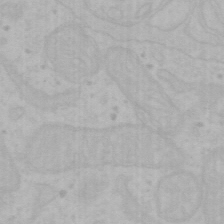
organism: Mouse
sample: Choroid plexus